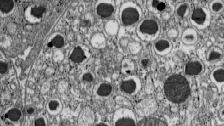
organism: C57BL Mouse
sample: Pancreatic islet